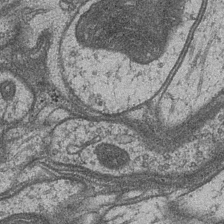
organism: Drosophila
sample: Optic medulla